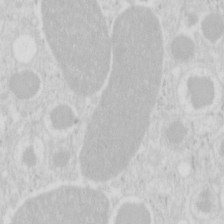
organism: Mouse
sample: Pancreas